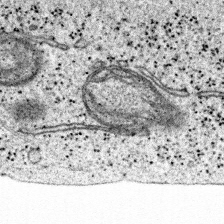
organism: Human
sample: HeLa cells